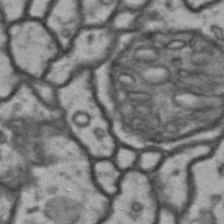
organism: Drosophila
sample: Brain